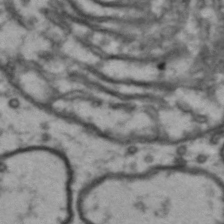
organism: Drosophila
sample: Brain